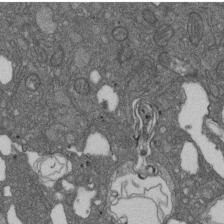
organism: Drosophila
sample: Nephrocyte